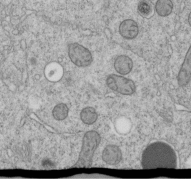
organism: C. elegans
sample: C. elegans embryo early stage